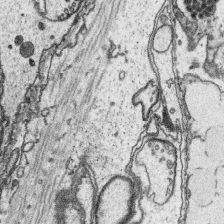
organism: Platynereis dumerilii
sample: Parapodia